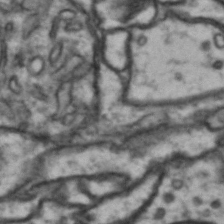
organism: Drosophila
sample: Brain